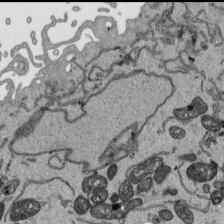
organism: Human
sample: Mitochondria in HCT116 cells